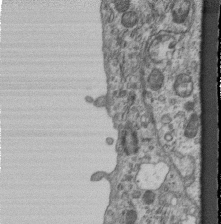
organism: Mouse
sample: Centriole in ependymal cells